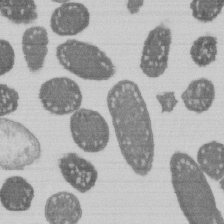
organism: E. coli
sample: Bacterial nucleoid